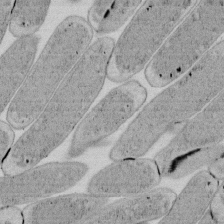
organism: E. coli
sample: Bacterial nucleoid